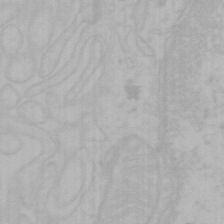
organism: Mouse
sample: Choroid plexus